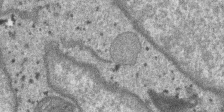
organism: Human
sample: Lung epithelial cells infected with SARS-CoV-2